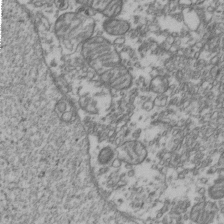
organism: Human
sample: Activated Jurkat CD4+ T cells